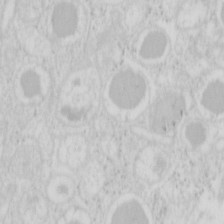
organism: Mouse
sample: Pancreas